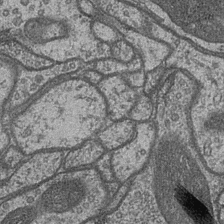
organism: Drosophila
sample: Optic medulla